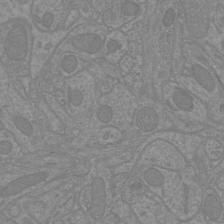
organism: Mouse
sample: Cortical neurons